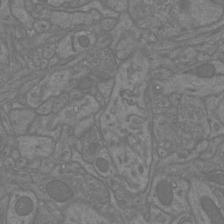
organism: Mouse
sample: Cortical neurons